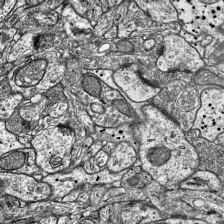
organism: Mouse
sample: Visual Cortex